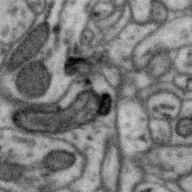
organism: Zebra finch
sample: Brain